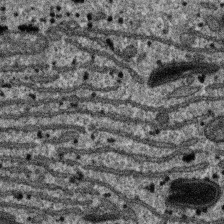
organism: Human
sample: Lung epithelial cells infected with SARS-CoV-2